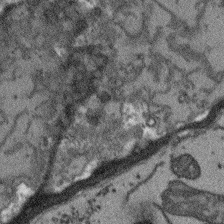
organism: Arabidopsis thaliana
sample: Root tip